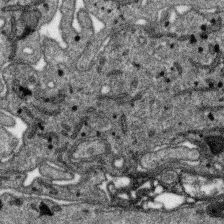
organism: Human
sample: Lung epithelial cells infected with SARS-CoV-2